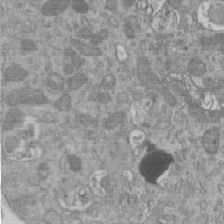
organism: Mouse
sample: ED-1 cell nuclei; centrioles